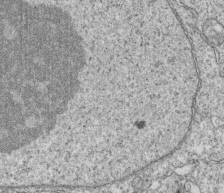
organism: Human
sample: HeLa cell HIV synapse